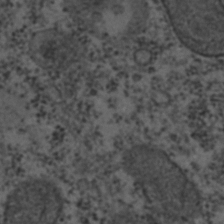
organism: C. elegans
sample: C. elegans embryo